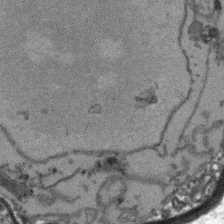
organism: Arabidopsis thaliana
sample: Root tip